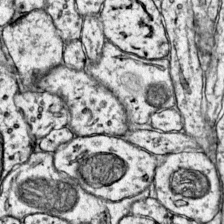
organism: Mouse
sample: Primary visual cortex